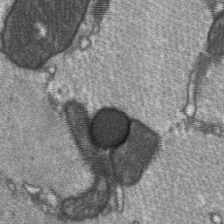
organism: C57BL Mouse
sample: Soleus